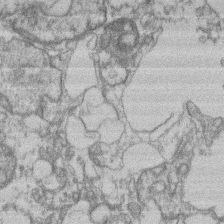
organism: Mouse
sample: T cell stromal cell synapse